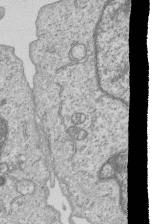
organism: Human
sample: MDA-MB-231 cells